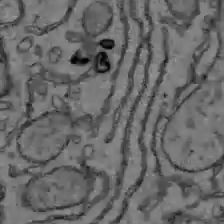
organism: C57BL Mouse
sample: Liver